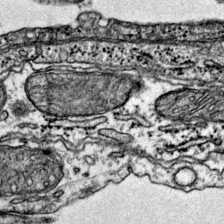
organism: Mouse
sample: Primary visual cortex